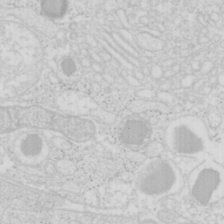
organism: Mouse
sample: Pancreas